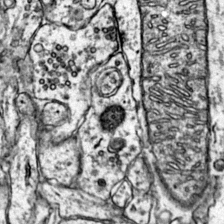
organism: Mouse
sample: Primary visual cortex